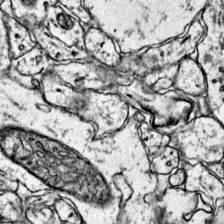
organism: Mouse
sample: Primary visual cortex